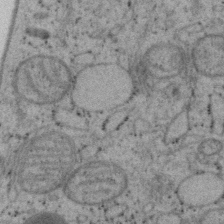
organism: Human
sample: HeLa cells